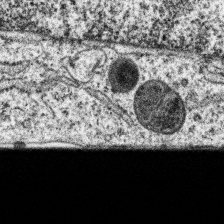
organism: Human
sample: HeLa cells